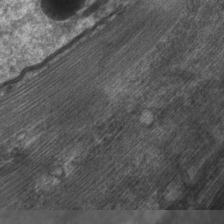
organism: C. elegans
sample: Pharynx